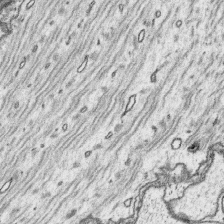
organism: Platynereis dumerilii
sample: Parapodia